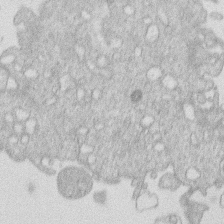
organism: Human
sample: Macrophage cells